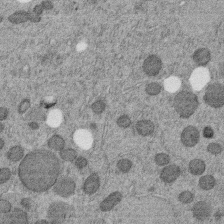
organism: C. elegans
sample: C. elegans embryo early stage